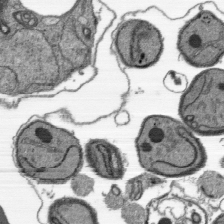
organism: Plasmodium falciparum